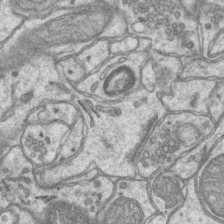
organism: Mouse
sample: CA1 Hippocampus